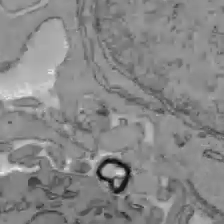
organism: C57BL Mouse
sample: Liver